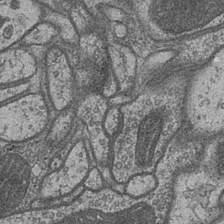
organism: Drosophila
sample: Optic medulla